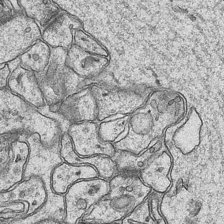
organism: Mouse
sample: CA1 Hippocampus